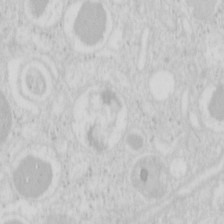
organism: Mouse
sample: Pancreas